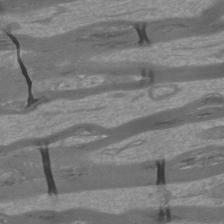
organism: Mouse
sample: Cortical neurons